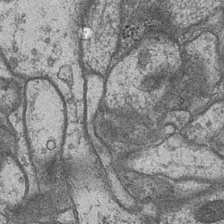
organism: Drosophila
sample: Optic medulla